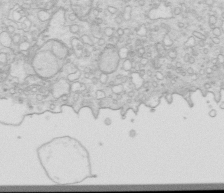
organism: Mouse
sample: Multiciliated cells